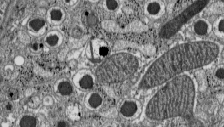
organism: C57BL Mouse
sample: Pancreatic islet